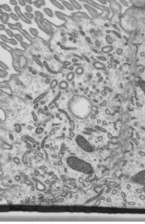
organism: Mouse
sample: Mouse epididymis efferent ductule cilia